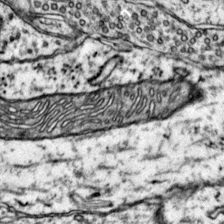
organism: Mouse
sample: Primary visual cortex